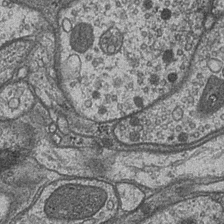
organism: Drosophila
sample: Optic medulla